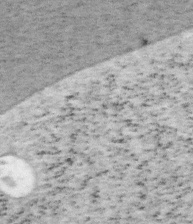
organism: Mouse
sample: OT-I killer T cells with ID8 ovarian cancer cells